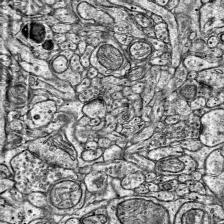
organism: Mouse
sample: Visual Cortex